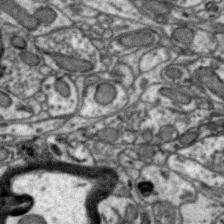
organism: Zebra finch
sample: Brain